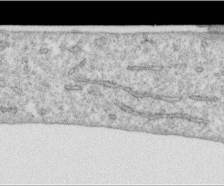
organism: Human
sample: Centriole in RPE cells